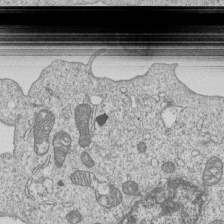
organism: Human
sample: MDA-MB-231 cells